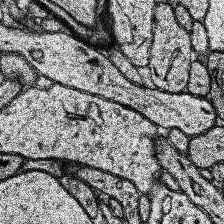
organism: Human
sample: Temporal Lobe